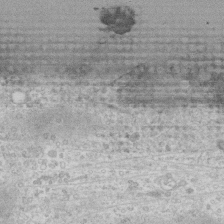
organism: Human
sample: Fibroblast cells